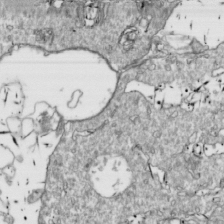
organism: Drosophila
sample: Cell division; meiosis; drosophila spermatocytes